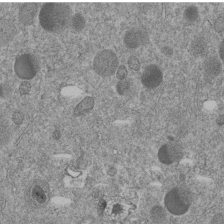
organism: C. elegans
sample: C. elegans embryo early stage